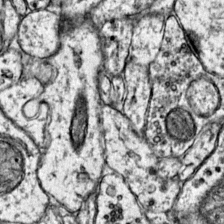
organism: Mouse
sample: Primary visual cortex